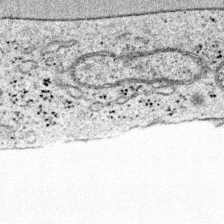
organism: Human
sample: HeLa cells